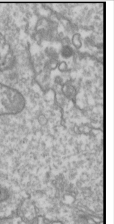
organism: Drosophila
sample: Cell division; meiosis; drosophila spermatocytes